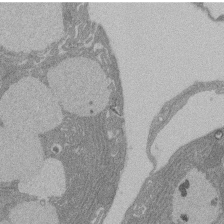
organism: Rat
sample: Salivary granule